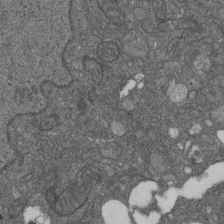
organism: Drosophila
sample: Nephrocyte